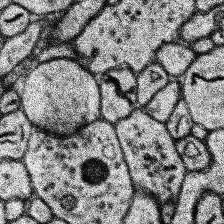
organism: Human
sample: Temporal Lobe